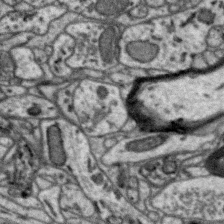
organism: Zebra finch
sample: Brain